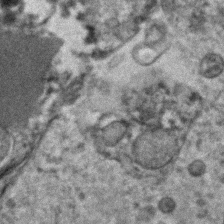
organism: Human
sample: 1205lu cells